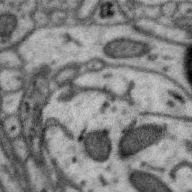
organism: Zebra finch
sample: Brain